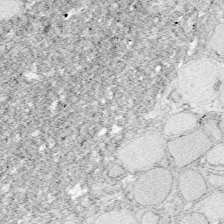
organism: Zebrafish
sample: Whole-Brain